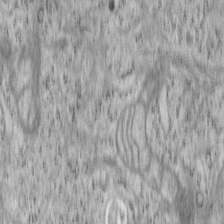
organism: Human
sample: HeLa cells